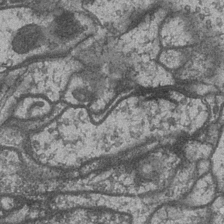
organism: Drosophila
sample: Optic medulla